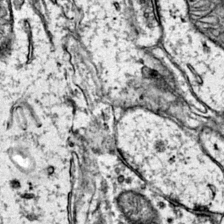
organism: Mouse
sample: Primary visual cortex